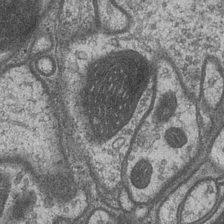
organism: Drosophila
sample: Optic medulla